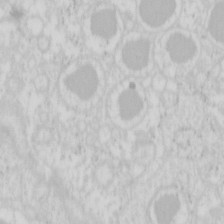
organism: Mouse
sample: Pancreas